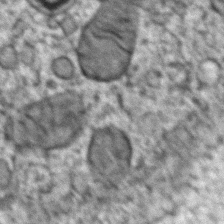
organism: Zebrafish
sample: Zebrafish embryo